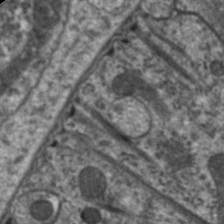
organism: C. elegans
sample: Pharynx